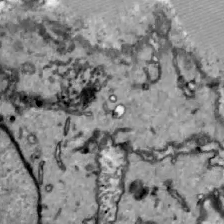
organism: Zebrafish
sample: Actinotrichia fibers